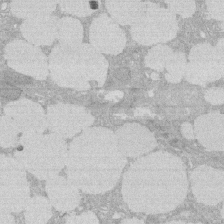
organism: Rat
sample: Salivary granule